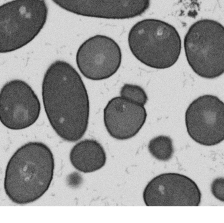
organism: B. subtilis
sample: Bacterial spore